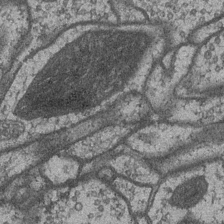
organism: Drosophila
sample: Optic medulla